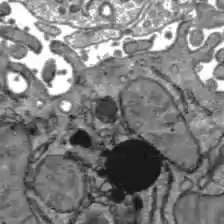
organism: C57BL Mouse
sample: Liver